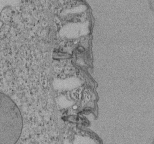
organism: Tetrahymena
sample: Cilia in tetrahymena